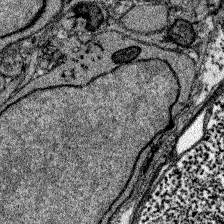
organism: Zebrafish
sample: Larval olfactory bulb